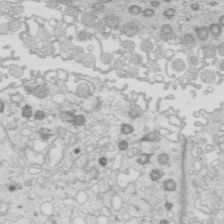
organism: Mouse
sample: Multiciliated cells